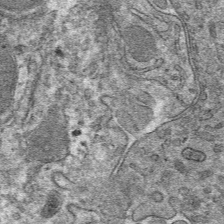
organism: Mouse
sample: Mouse hepatocytes